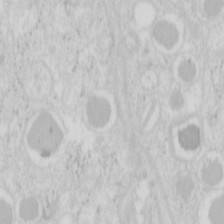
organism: Mouse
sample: Pancreas